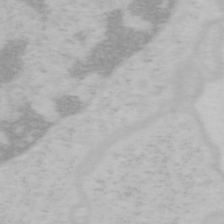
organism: Mouse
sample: OT-I killer T cells with ID8 ovarian cancer cells